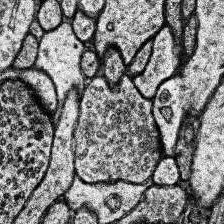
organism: Human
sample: Temporal Lobe